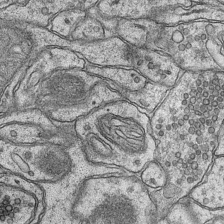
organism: Mouse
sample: CA1 Hippocampus